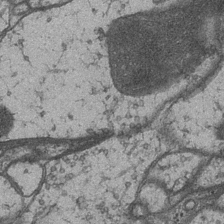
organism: Drosophila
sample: Optic medulla